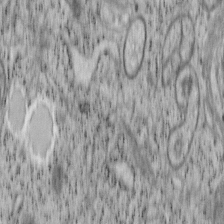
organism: Human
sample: HeLa cells